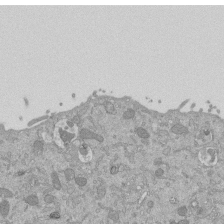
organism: Mouse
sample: ED-1 cell nuclei; centrioles